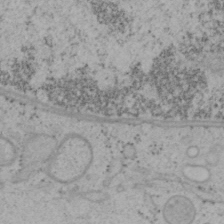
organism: Human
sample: HeLa cells